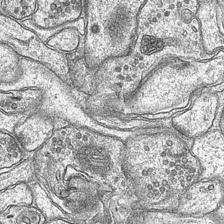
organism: Mouse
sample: CA1 Hippocampus